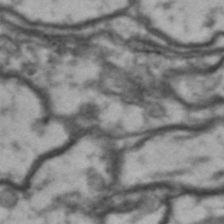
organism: Drosophila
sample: Brain